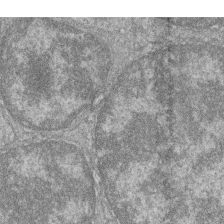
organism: Zebrafish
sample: Cilia; retinal pigment epithelium